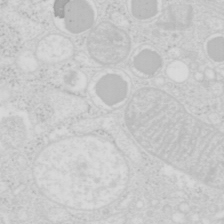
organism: Mouse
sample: Pancreas